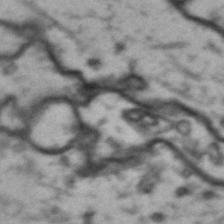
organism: Drosophila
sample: Brain